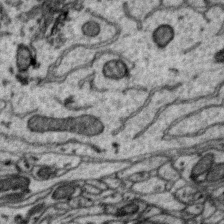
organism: Zebra finch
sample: Brain